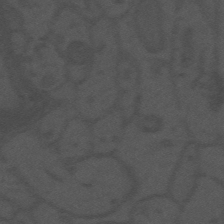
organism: Mouse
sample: Suprachiasmatic nucleus